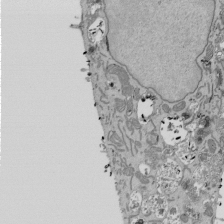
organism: Mouse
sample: ED-1 cell nuclei; centrioles